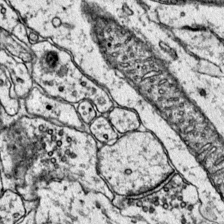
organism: Mouse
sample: Primary visual cortex